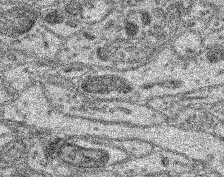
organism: Mouse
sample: Retina